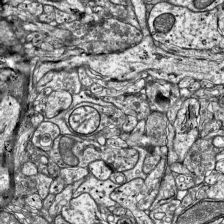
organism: Mouse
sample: Visual Cortex